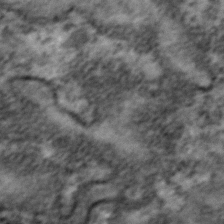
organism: Zebrafish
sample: Zebrafish embryo